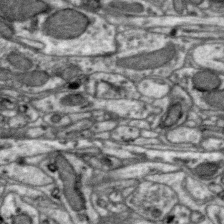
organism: Zebra finch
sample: Brain